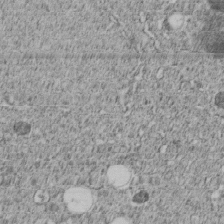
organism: C. elegans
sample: C. elegans embryo early stage